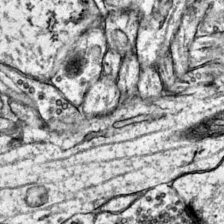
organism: Mouse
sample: Primary visual cortex